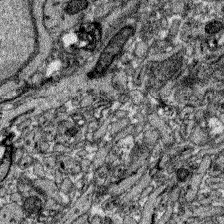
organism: Zebrafish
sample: Larval olfactory bulb